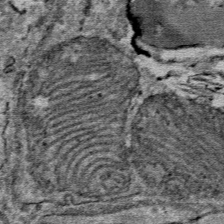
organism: Mouse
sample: Mouse Salivary gland